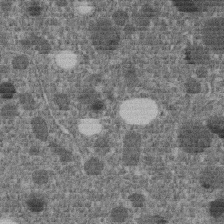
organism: C. elegans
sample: C. elegans embryo early stage